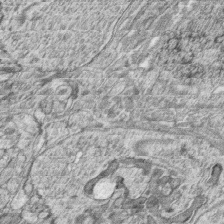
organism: Zebrafish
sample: synaptic ribbons in rod cells and cone cells